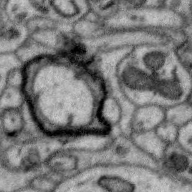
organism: Zebra finch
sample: Brain